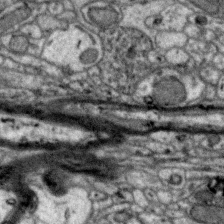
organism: Zebra finch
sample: Brain